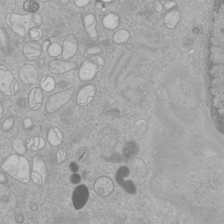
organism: Human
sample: Mitochondria in HCT116 cells